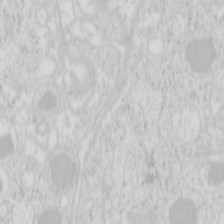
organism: Mouse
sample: Pancreas